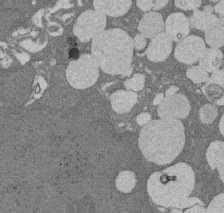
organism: Rat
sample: Salivary granule